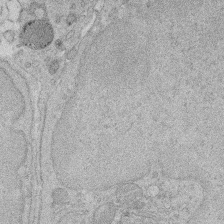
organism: Rat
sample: Salivary granule